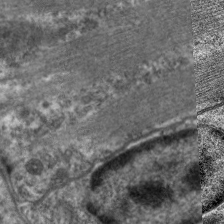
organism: C. elegans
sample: Pharynx